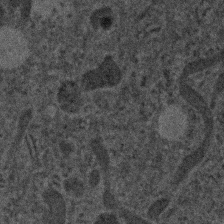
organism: Human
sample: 1205lu cells